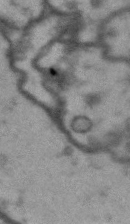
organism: Drosophila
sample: Brain